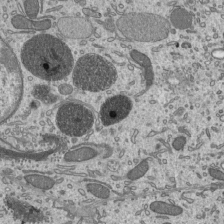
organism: Mouse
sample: Mouse epididymis efferent ductule cilia